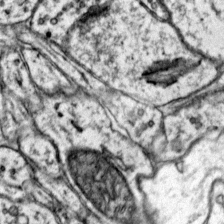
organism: Mouse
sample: Primary visual cortex